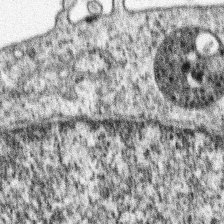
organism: Human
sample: HeLa cells